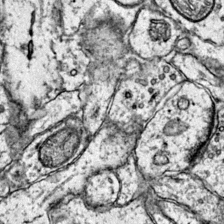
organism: Mouse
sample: Primary visual cortex